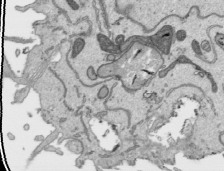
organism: Human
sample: Mitochondria in HCT116 cells